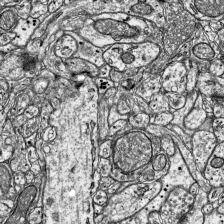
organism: Mouse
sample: Visual Cortex